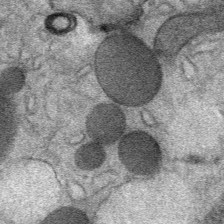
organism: Mouse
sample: Mouse Salivary gland